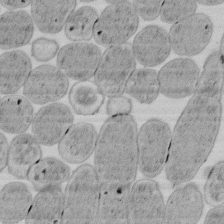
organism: E. coli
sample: Bacterial nucleoid